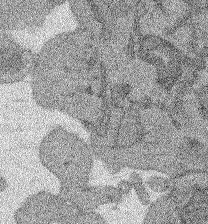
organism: Human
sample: HeLa cells